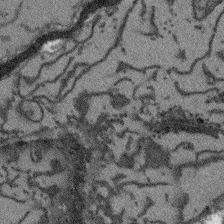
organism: Arabidopsis thaliana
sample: Root tip